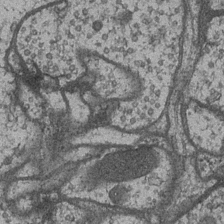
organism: Drosophila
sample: Optic medulla